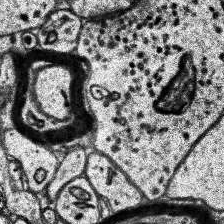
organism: Human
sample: Temporal Lobe